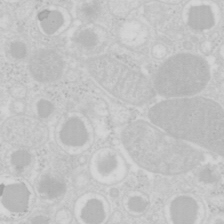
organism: Mouse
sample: Pancreas